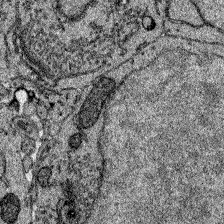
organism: Zebrafish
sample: Larval olfactory bulb